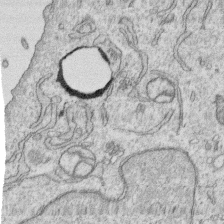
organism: Human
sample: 1205lu cells